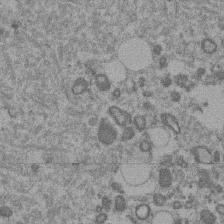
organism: Mouse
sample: Dividing mouse embryo 1 cell stage